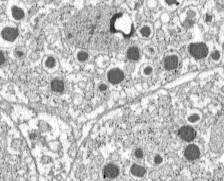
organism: C57BL Mouse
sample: Pancreatic islet